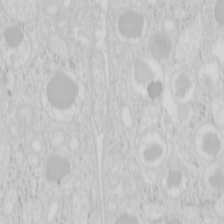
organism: Mouse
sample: Pancreas